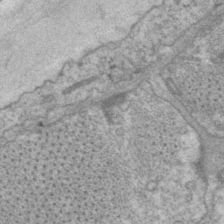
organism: P. pacificus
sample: Pharynx